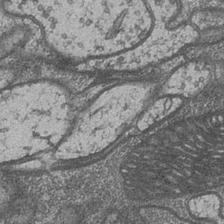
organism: Drosophila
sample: Optic medulla